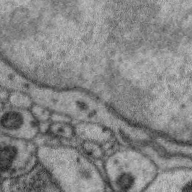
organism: Zebra finch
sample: Brain